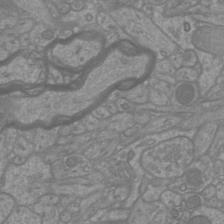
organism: Mouse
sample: Cortical neurons